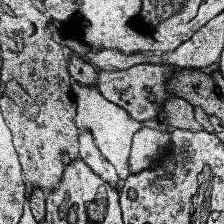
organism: Human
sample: Temporal Lobe